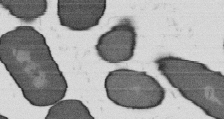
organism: B. subtilis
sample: Bacterial spore